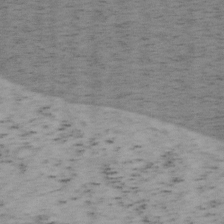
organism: Mouse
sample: OT-I killer T cells with ID8 ovarian cancer cells